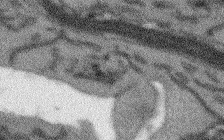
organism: Arabidopsis thaliana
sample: Root tip